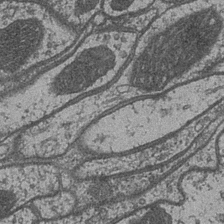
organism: Drosophila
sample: Optic medulla